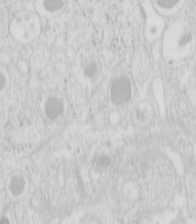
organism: Mouse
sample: Pancreas